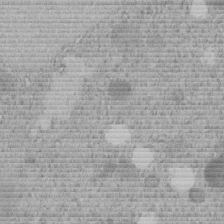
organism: C. elegans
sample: C. elegans embryo early stage